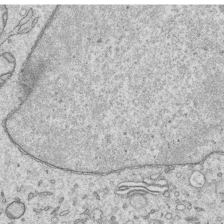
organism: Human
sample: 1205lu cells